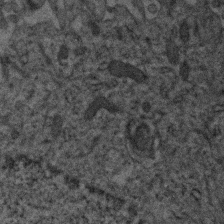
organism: Human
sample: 1205lu cells